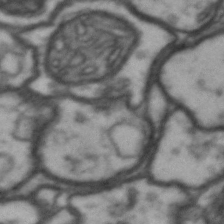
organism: Drosophila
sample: Brain